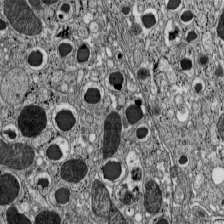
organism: C57BL Mouse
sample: Pancreatic islet